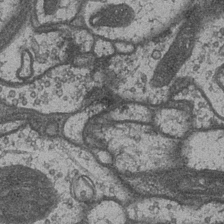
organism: Drosophila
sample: Optic medulla